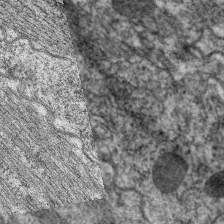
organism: C. elegans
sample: Pharynx